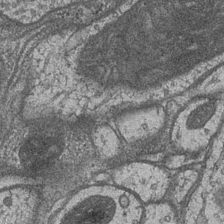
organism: Drosophila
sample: Optic medulla